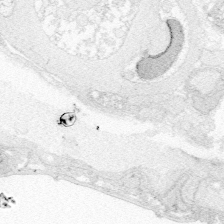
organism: Zebrafish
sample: Whole-Brain